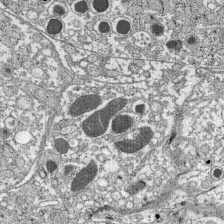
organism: C57BL Mouse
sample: Pancreatic islet